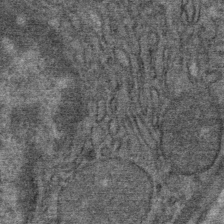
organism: Mouse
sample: Mouse Salivary gland